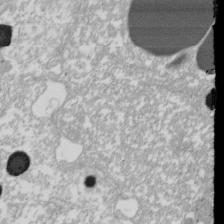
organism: Xenopus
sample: Cilia; centrioles in frog embryo cells